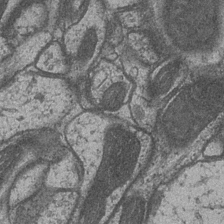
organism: Drosophila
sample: Optic medulla